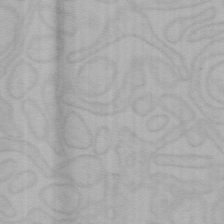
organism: Mouse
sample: Choroid plexus